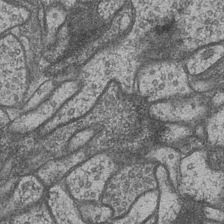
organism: Drosophila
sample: Optic medulla